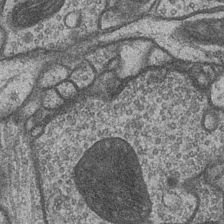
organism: Drosophila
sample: Optic medulla